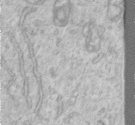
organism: Human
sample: Centriole in RPE cells